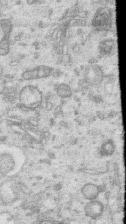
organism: Human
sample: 1205lu cells